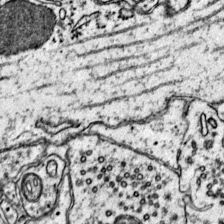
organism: Mouse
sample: Primary visual cortex